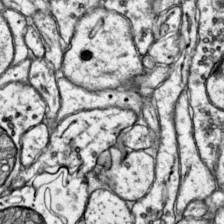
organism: Mouse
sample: Primary visual cortex